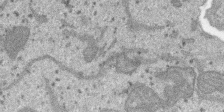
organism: Human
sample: Lung epithelial cells infected with SARS-CoV-2